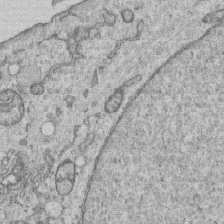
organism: Human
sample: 1205lu cells